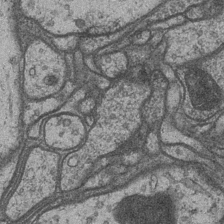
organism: Drosophila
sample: Optic medulla